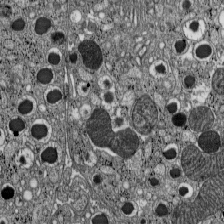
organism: C57BL Mouse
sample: Pancreatic islet